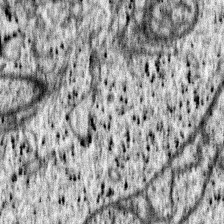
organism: Human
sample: HeLa cells